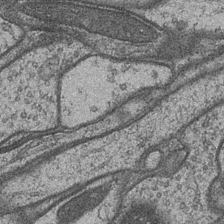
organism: Drosophila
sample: Optic medulla